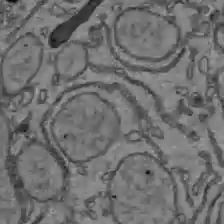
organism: C57BL Mouse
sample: Liver